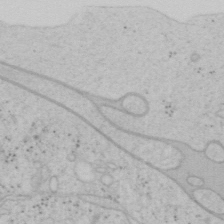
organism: Human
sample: HeLa cells